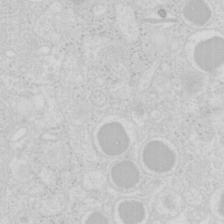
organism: Mouse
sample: Pancreas